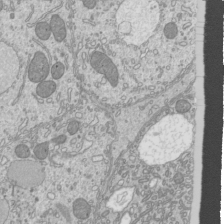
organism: Mouse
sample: Cilia; mouse epididymis